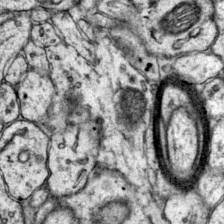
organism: Mouse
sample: Primary visual cortex